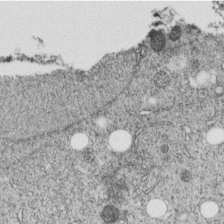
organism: C. elegans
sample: C. elegans embryo early stage